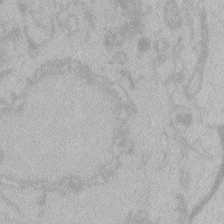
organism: Zebrafish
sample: Macrophage infected with Toxoplasma gondii